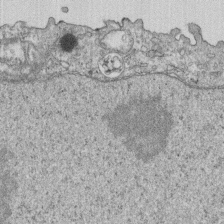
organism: Human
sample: HeLa cell HIV synapse